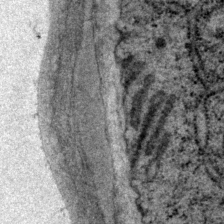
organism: P. pacificus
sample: Pharynx